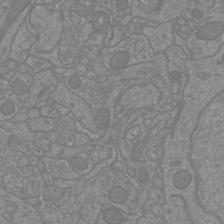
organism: Mouse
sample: Cortical neurons